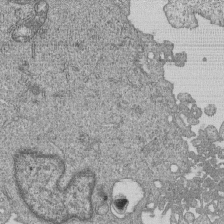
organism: Human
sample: MDA-MB-231 cells